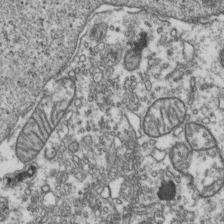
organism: Human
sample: Activated Jurkat CD4+ T cells